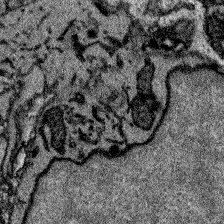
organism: Zebrafish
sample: Larval olfactory bulb